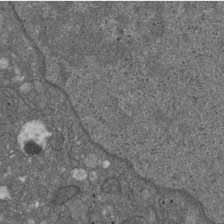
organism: Drosophila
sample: Nephrocyte